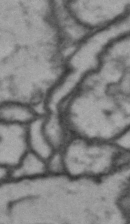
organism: Drosophila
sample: Brain